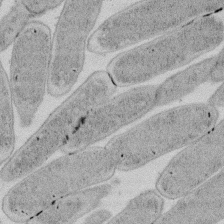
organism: E. coli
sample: Bacterial nucleoid